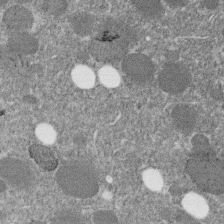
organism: C. elegans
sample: C. elegans embryo early stage